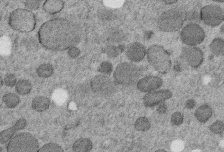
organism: C. elegans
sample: C. elegans embryo early stage